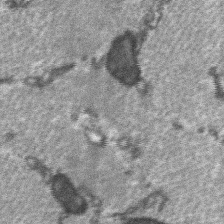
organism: C57BL Mouse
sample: Soleus